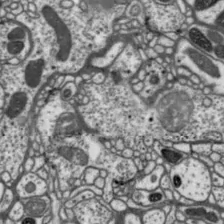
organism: Drosophila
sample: Protocerebral bridge